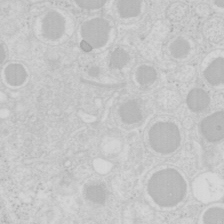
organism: Mouse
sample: Pancreas